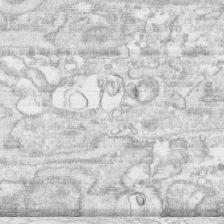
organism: Human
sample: CRL-1474